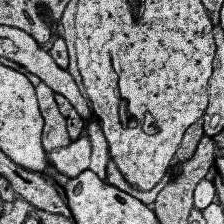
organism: Human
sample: Temporal Lobe